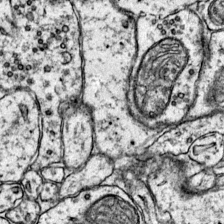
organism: Mouse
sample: Primary visual cortex